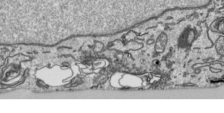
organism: Human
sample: Mitochondria in HCT116 cells